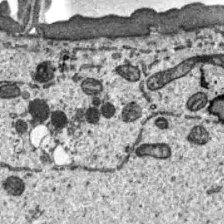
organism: Human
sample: HeLa cells